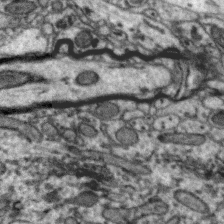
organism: Zebra finch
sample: Brain